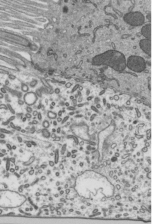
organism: Mouse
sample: Mouse epididymis efferent ductule cilia